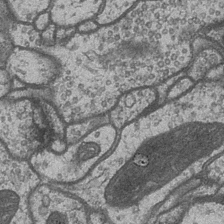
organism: Drosophila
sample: Optic medulla